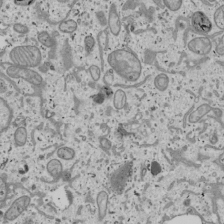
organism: Human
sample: Mitochondria in U2OS cells